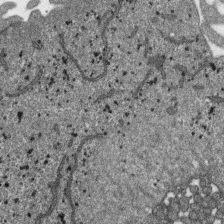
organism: Human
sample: Lung epithelial cells infected with SARS-CoV-2